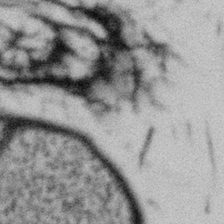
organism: Gemmata obscuriglobus